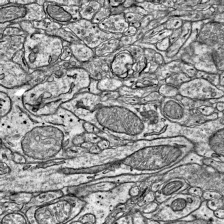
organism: Mouse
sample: Visual Cortex